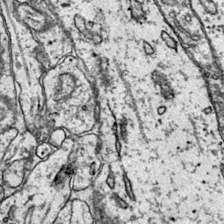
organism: Mouse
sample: Primary visual cortex